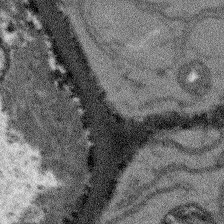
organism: Arabidopsis thaliana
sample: Root tip